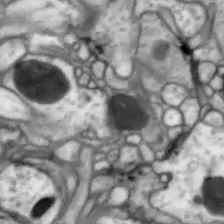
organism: Drosophila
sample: Optic lobe